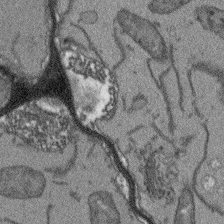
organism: Arabidopsis thaliana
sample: Root tip